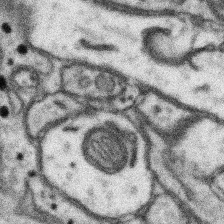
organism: Mouse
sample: Somatosensory cortex neuropil